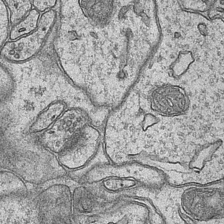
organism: Mouse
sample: CA1 Hippocampus